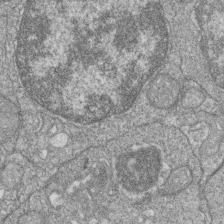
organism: Zebrafish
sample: Cilia; retinal pigment epithelium